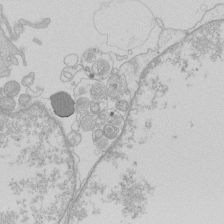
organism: Human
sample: Macrophage cells